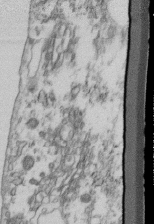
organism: Mouse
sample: Cilia; retinal pigment epithelium